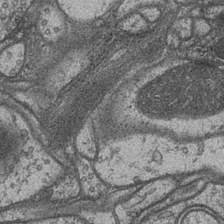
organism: Drosophila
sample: Optic medulla